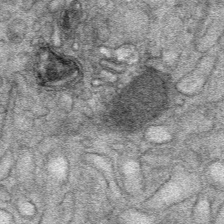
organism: Mouse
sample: Mouse Salivary gland